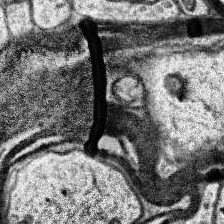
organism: Human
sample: Temporal Lobe